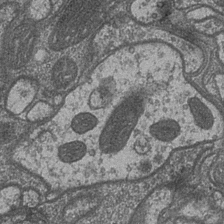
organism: Drosophila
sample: Optic medulla